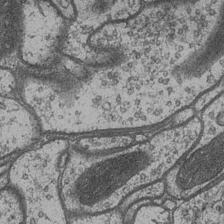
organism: Drosophila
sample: Optic medulla